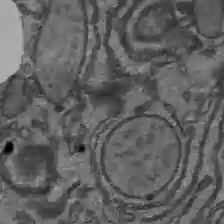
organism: C57BL Mouse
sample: Liver